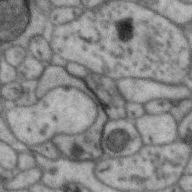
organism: Zebra finch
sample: Brain